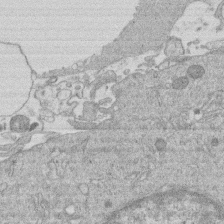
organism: Human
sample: Macrophage cells